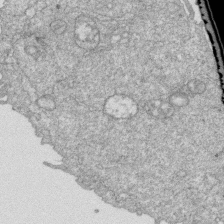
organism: Human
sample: HeLa cell HIV synapse